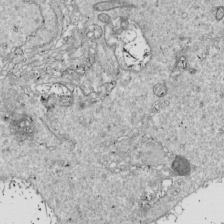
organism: Drosophila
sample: Cell division; meiosis; drosophila spermatocytes